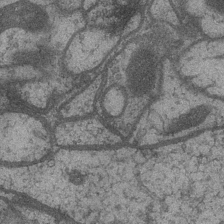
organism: Drosophila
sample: Optic medulla